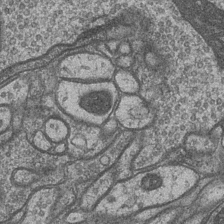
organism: Drosophila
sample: Optic medulla